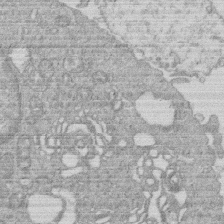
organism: Human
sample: Macrophage cells